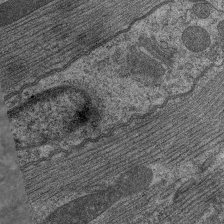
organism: C. elegans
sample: Pharynx